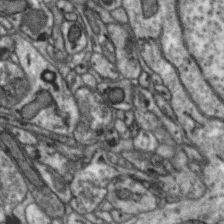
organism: Zebra finch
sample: Brain